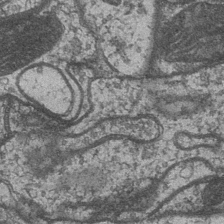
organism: Drosophila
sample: Optic medulla